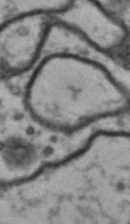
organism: Drosophila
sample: Brain